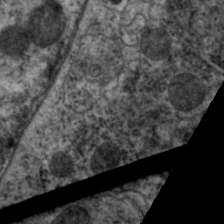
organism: C. elegans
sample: Pharynx